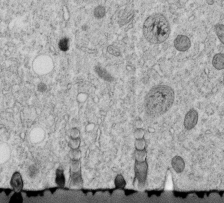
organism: C. elegans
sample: C. elegans embryo early stage